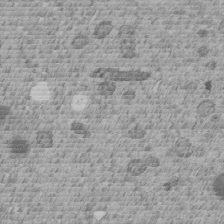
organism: C. elegans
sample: C. elegans embryo early stage